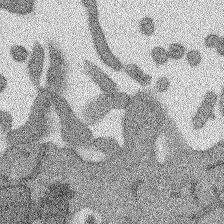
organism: Human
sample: HeLa cells